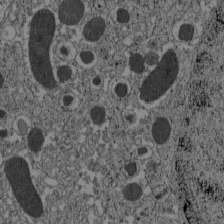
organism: C57BL Mouse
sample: Pancreatic islet